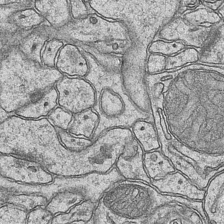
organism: Mouse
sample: CA1 Hippocampus